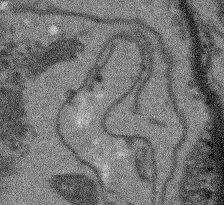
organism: Arabidopsis thaliana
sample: Root tip